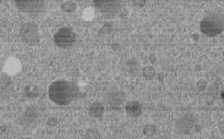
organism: C. elegans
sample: C. elegans embryo early stage